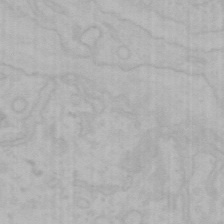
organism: Mouse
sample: Choroid plexus